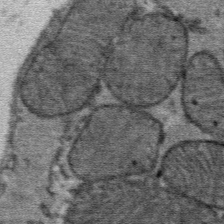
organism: Mouse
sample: Mouse Salivary gland